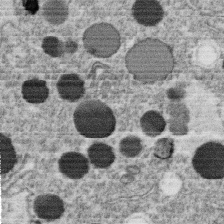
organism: C. elegans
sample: C. elegans oocyte; sperm cells